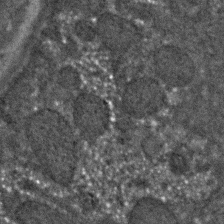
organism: C. elegans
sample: C. elegans embryo